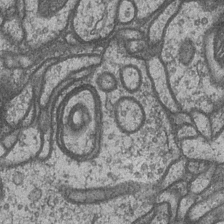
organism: Drosophila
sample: Optic medulla